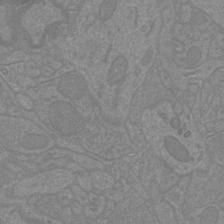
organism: Mouse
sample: Cortical neurons